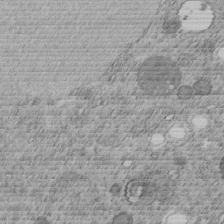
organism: C. elegans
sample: C. elegans embryo early stage